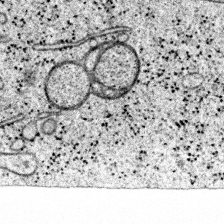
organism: Human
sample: HeLa cells